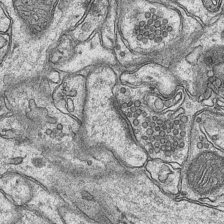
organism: Mouse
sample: CA1 Hippocampus